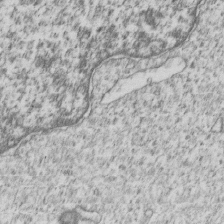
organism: Human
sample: MDA-MB-231 cells